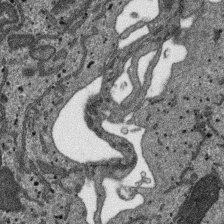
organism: Human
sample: Lung epithelial cells infected with SARS-CoV-2